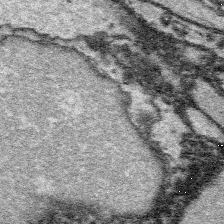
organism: Platynereis dumerilii